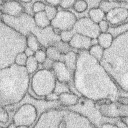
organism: Rabbit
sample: Retina